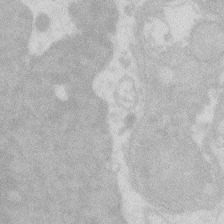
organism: Zebrafish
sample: Macrophage